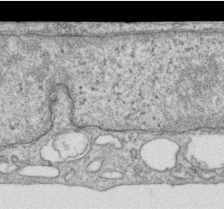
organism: Human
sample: Centriole in RPE cells